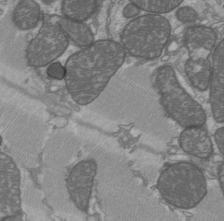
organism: C57BL Mouse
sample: Heart